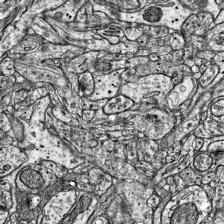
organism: Mouse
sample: Visual Cortex